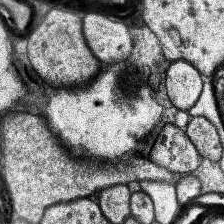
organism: Human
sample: Temporal Lobe